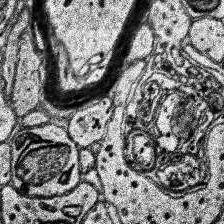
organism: Human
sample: Temporal Lobe